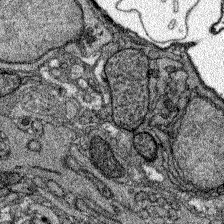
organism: Zebrafish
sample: Larval olfactory bulb